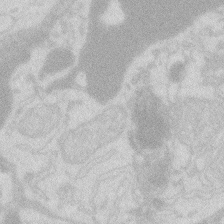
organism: Zebrafish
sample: Macrophage